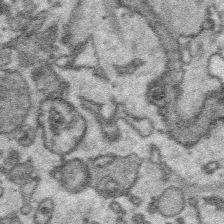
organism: Platynereis dumerilii